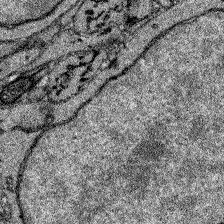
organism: Zebrafish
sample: Larval olfactory bulb